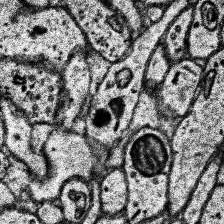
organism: Human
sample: Temporal Lobe